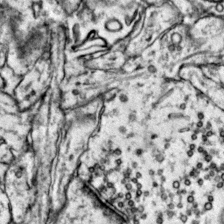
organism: Mouse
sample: Primary visual cortex